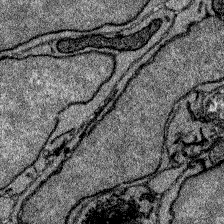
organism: Zebrafish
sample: Larval olfactory bulb